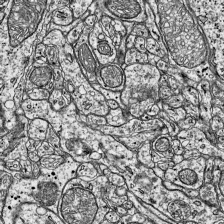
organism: Mouse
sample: Visual Cortex